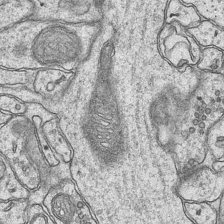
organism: Mouse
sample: CA1 Hippocampus